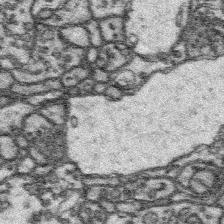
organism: Platynereis dumerilii